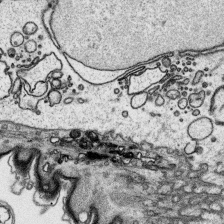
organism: Platynereis dumerilii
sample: Parapodia